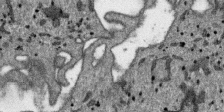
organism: Human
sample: Lung epithelial cells, uninfected (mock) control